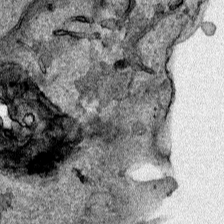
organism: Human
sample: Mitochondria in HCT116 cells